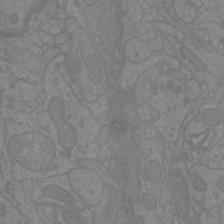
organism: Mouse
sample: Cortical neurons